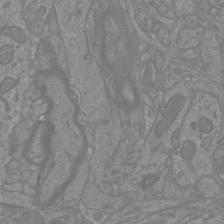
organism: Mouse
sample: Cortical neurons